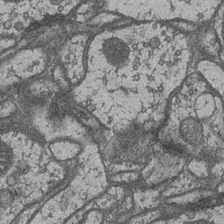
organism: Drosophila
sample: Optic medulla